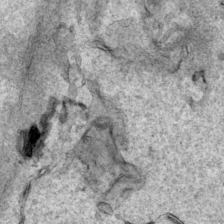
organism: Human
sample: Mitochondria in HCT116 cells